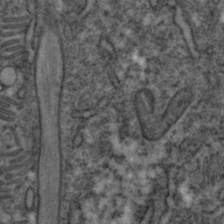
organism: C. elegans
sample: C. elegans embryo